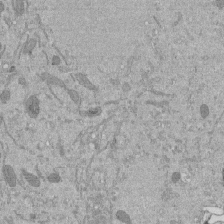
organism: Mouse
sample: ED-1 cell nuclei; centrioles